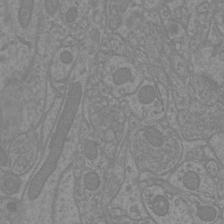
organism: Mouse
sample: Cortical neurons